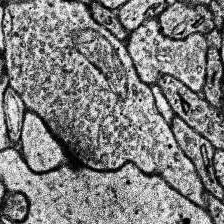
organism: Human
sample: Temporal Lobe